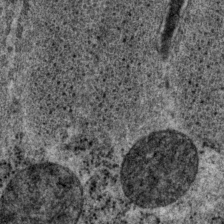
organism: P. pacificus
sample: Pharynx